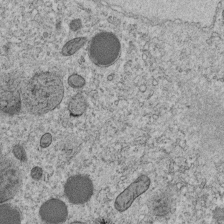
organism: C. elegans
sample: C. elegans embryo early stage